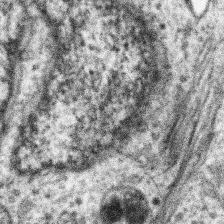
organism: Human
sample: HeLa cells